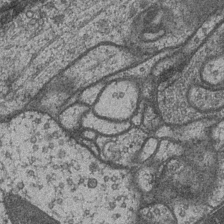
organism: Drosophila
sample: Optic medulla